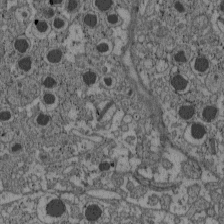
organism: C57BL Mouse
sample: Pancreatic islet